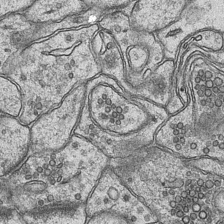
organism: Mouse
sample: CA1 Hippocampus